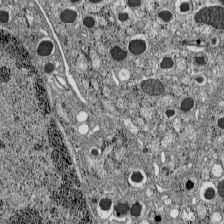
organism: C57BL Mouse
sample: Pancreatic islet